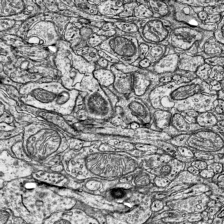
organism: Mouse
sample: Visual Cortex